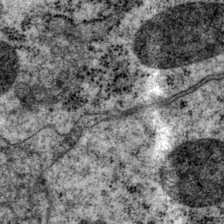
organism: P. pacificus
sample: Pharynx